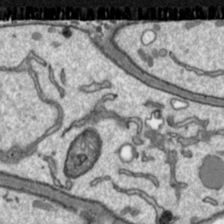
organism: Toxoplasma gondii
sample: Parasites in a vacuole inside a host cell